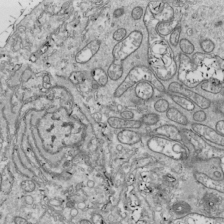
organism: Drosophila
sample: Cell division; meiosis; drosophila spermatocytes